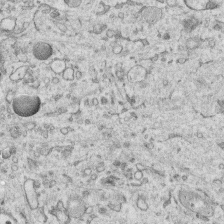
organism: Human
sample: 1205lu cells